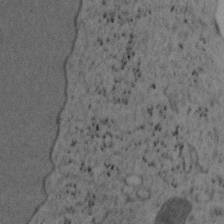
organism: Human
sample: HeLa cells